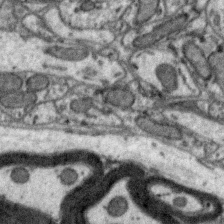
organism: Zebra finch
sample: Brain